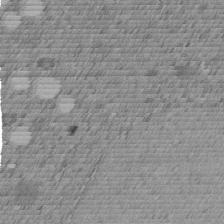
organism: C. elegans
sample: C. elegans embryo early stage